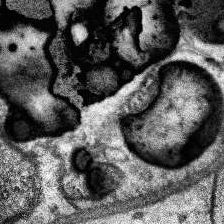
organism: Human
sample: Temporal Lobe